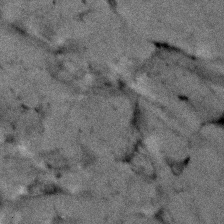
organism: Human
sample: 1205lu cells